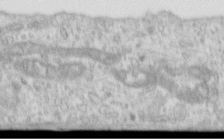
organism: Human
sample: Centriole in RPE cells